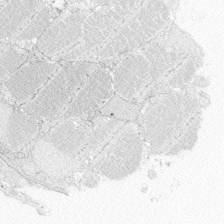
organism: Zebrafish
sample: Whole-Brain